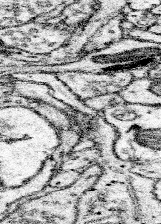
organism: Mouse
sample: Somatosensory cortex neuropil